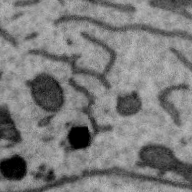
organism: Zebra finch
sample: Brain